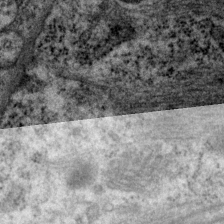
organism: P. pacificus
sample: Pharynx